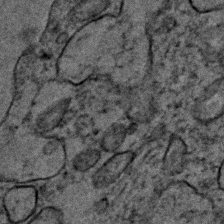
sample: Trachea